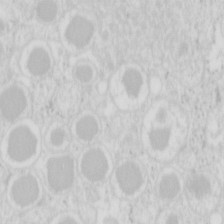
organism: Mouse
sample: Pancreas